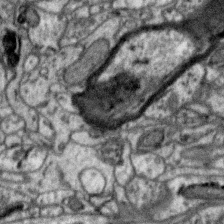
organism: Zebra finch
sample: Brain